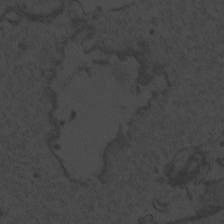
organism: Zebrafish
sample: Macrophage infected with Toxoplasma gondii